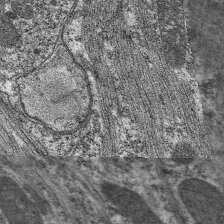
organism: C. elegans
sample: Pharynx